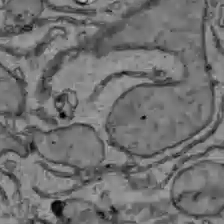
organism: C57BL Mouse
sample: Liver